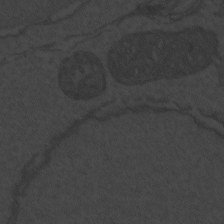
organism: Zebrafish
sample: Macrophage infected with Toxoplasma gondii